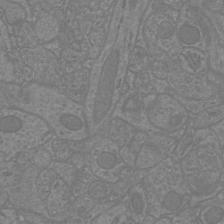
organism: Mouse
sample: Cortical neurons